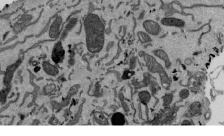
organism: Mouse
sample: ED-1 cell nuclei; centrioles